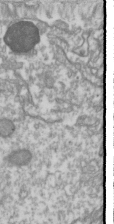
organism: Drosophila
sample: Cell division; meiosis; drosophila spermatocytes